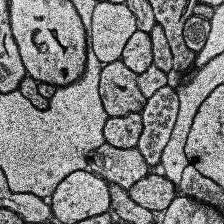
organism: Human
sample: Temporal Lobe